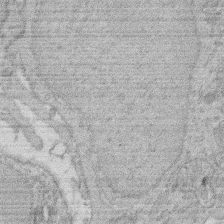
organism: Rat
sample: Salivary granule